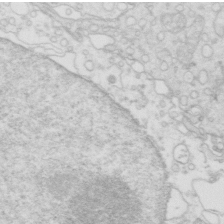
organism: Mouse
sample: Multiciliated cells